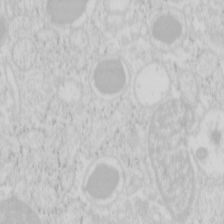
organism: Mouse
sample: Pancreas